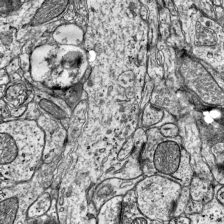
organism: Mouse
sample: Visual Cortex